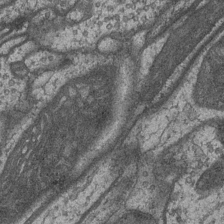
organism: Drosophila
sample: Optic medulla